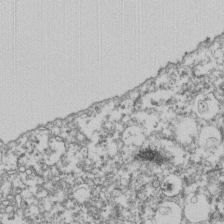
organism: Dictyostelium discoideum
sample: Dictyostelium multivesicular bodies